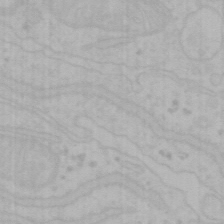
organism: Mouse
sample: Choroid plexus